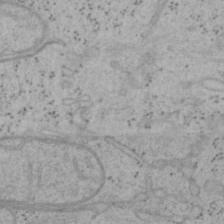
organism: Human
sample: HeLa cells